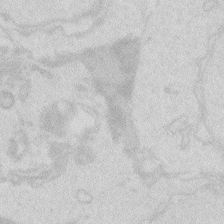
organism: Zebrafish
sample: Macrophage